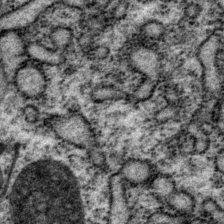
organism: P. pacificus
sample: Pharynx